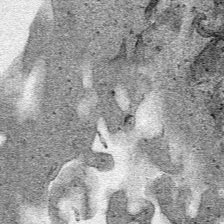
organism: Human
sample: Mitochondria in HCT116 cells